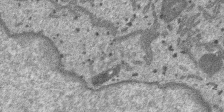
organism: Human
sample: Lung epithelial cells infected with SARS-CoV-2